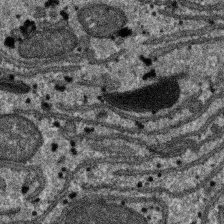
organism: Human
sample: Lung epithelial cells infected with SARS-CoV-2